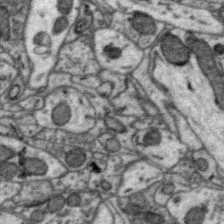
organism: Zebra finch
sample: Brain